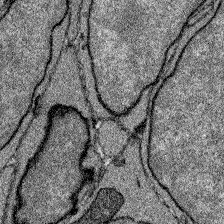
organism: Zebrafish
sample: Larval olfactory bulb